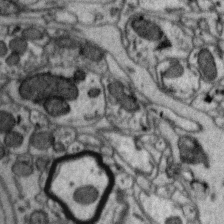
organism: Zebra finch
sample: Brain